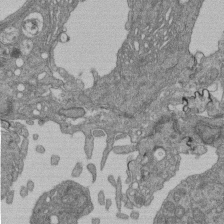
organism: Human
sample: Retinal organoid Rod and Cone cells